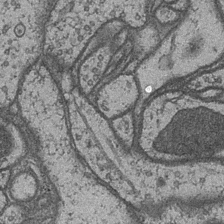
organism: Drosophila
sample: Optic medulla